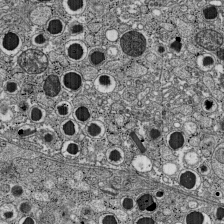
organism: C57BL Mouse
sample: Pancreatic islet